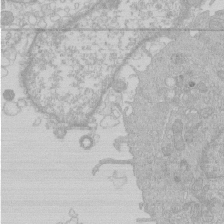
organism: Human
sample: Macrophage cells